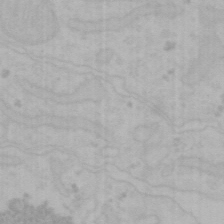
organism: Mouse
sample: Choroid plexus